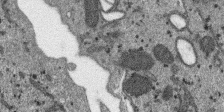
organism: Human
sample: Lung epithelial cells infected with SARS-CoV-2